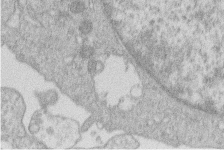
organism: Human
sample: Macrophage cells